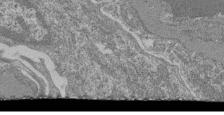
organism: Mouse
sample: Glomerulus